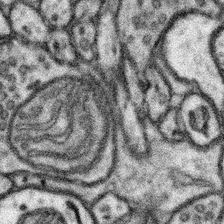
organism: Mouse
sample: Somatosensory cortex neuropil